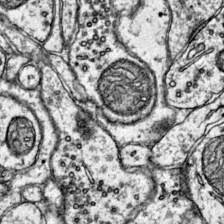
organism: Mouse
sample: Primary visual cortex